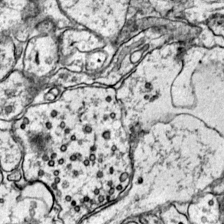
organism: Mouse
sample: Primary visual cortex